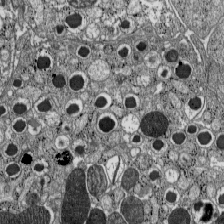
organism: C57BL Mouse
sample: Pancreatic islet